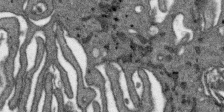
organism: Human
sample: Lung epithelial cells, uninfected (mock) control